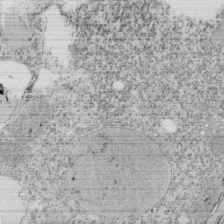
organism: Tetrahymena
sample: Cilia in tetrahymena